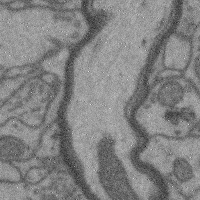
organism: Mouse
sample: Cerebral cortex